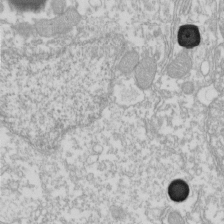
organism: Xenopus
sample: Cilia; centrioles in frog embryo cells